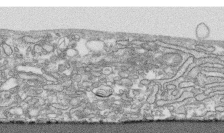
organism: Human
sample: CRL-1474